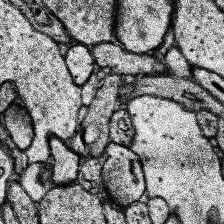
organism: Human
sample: Temporal Lobe